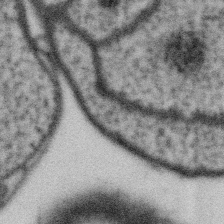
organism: Gemmata obscuriglobus